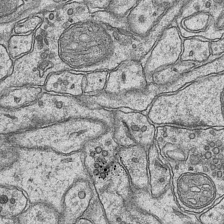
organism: Mouse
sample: CA1 Hippocampus